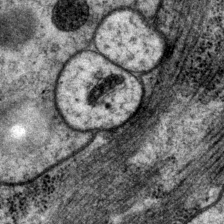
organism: P. pacificus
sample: Pharynx